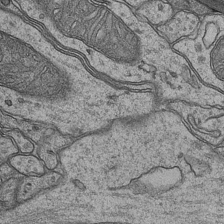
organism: Mouse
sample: CA1 Hippocampus